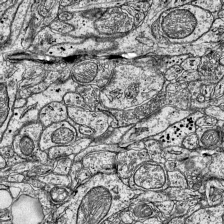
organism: Mouse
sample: Visual Cortex